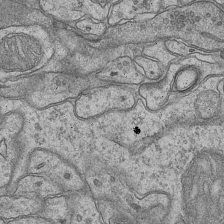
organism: Mouse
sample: CA1 Hippocampus